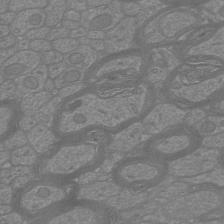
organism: Mouse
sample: Cortical neurons